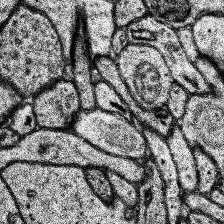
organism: Human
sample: Temporal Lobe